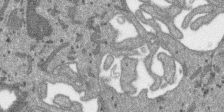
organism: Human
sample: Lung epithelial cells infected with SARS-CoV-2